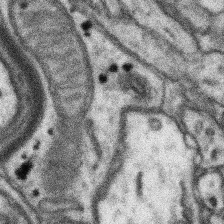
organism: Mouse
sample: Somatosensory cortex neuropil